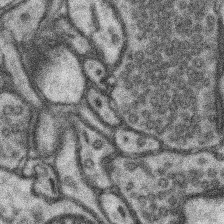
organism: Mouse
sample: Somatosensory cortex neuropil